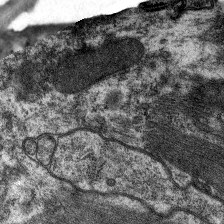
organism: C. elegans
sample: Pharynx